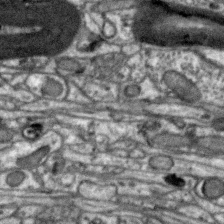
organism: Zebra finch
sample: Brain